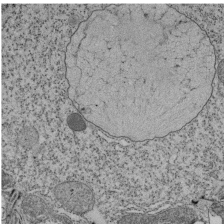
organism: Tetrahymena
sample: Cilia in tetrahymena